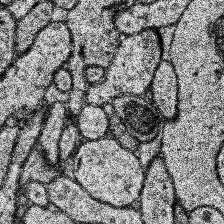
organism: Human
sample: Temporal Lobe